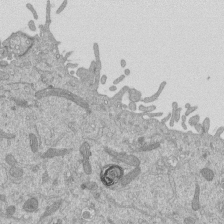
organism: Mouse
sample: ED-1 cell nuclei; centrioles